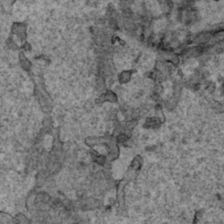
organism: Human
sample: Mitochondria in HCT116 cells